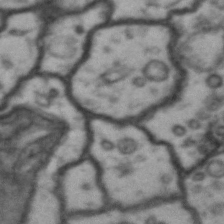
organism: Drosophila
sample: Brain